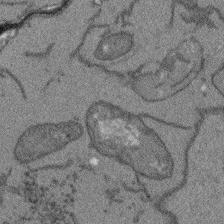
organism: Arabidopsis thaliana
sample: Root tip